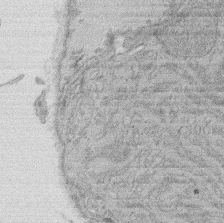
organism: Rat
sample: Salivary granule